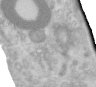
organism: Human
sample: Centriole in RPE cells